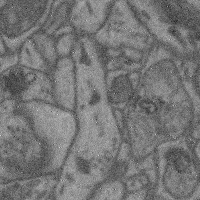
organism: Mouse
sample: Cerebral cortex